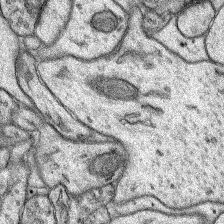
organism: Rat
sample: Hippocampus